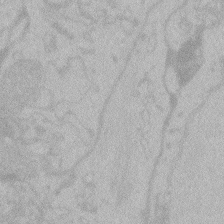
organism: Zebrafish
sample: Macrophage infected with Toxoplasma gondii